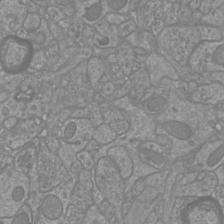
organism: Mouse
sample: Cortical neurons